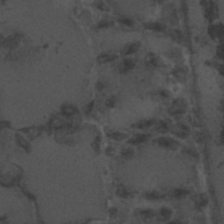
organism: C. elegans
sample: C. elegans embryo